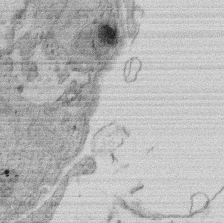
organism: Rat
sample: Salivary granule